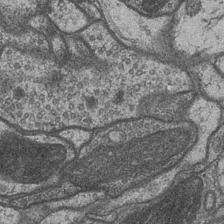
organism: Drosophila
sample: Optic medulla